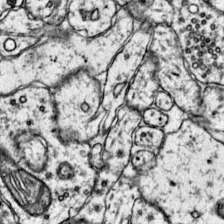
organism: Mouse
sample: Primary visual cortex